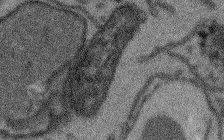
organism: Arabidopsis thaliana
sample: Root tip